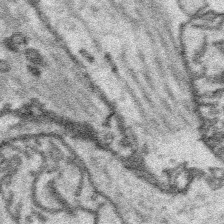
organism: Platynereis dumerilii